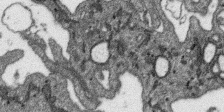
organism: Human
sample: Lung epithelial cells infected with SARS-CoV-2